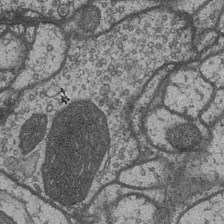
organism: Drosophila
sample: Optic medulla